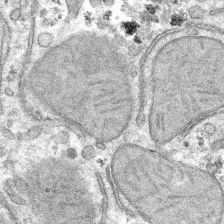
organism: Mouse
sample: Mouse hepatocytes